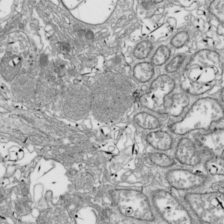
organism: Drosophila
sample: Cell division; meiosis; drosophila spermatocytes